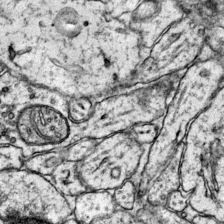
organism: Mouse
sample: Primary visual cortex